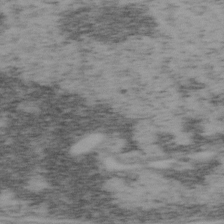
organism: Mouse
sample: OT-I killer T cells with ID8 ovarian cancer cells